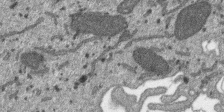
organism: Human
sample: Lung epithelial cells infected with SARS-CoV-2